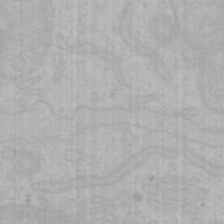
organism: Mouse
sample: Choroid plexus